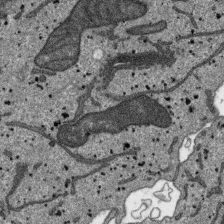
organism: Human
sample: Lung epithelial cells, uninfected (mock) control